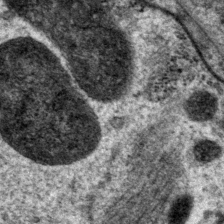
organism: P. pacificus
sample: Pharynx